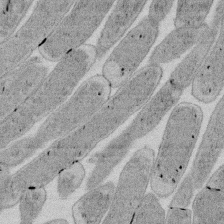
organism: E. coli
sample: Bacterial nucleoid